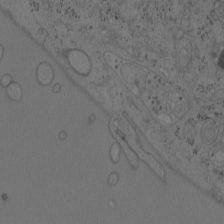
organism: Mouse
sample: OT-I killer T cells with ID8 ovarian cancer cells